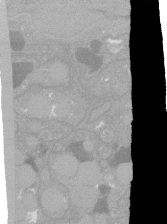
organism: C. elegans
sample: C. elegans oocyte; sperm cells